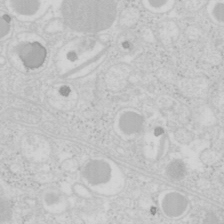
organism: Mouse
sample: Pancreas